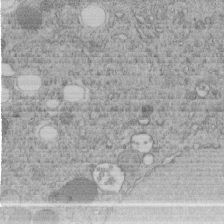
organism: C. elegans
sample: C. elegans embryo early stage